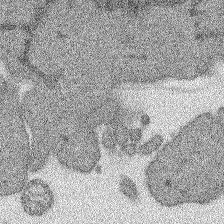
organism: Human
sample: HeLa cells